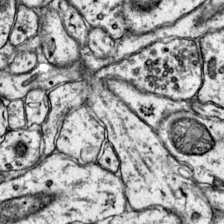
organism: Mouse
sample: Primary visual cortex